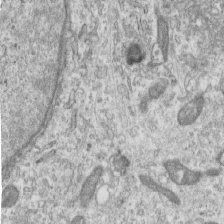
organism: Human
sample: Centriole in RPE cells